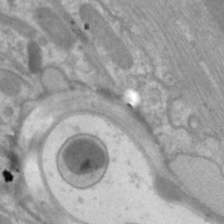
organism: C. elegans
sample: Pharynx